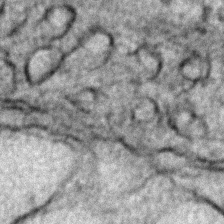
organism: Zebrafish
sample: Zebrafish embryo